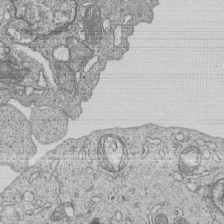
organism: Human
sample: MDA-MB-231 cells